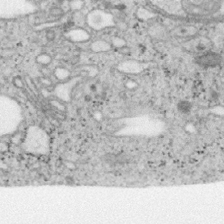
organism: Mouse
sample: OT-I killer T cells with ID8 ovarian cancer cells